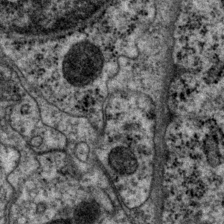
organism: P. pacificus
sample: Pharynx